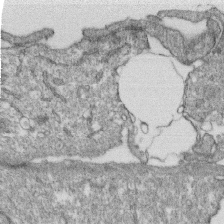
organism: African green monkey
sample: Vero E6 cells infected with SARS-CoV-2